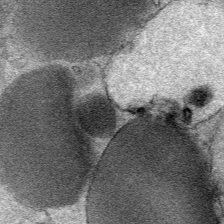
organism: Mouse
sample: Mouse Salivary gland